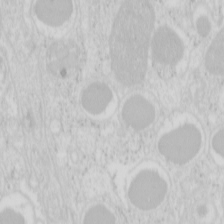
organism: Mouse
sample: Pancreas